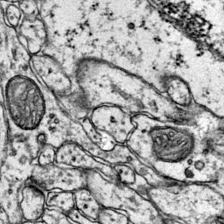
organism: Mouse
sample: Primary visual cortex